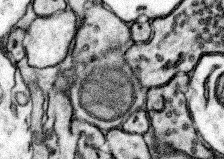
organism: Mouse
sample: Somatosensory cortex neuropil